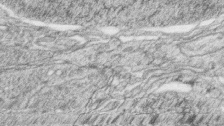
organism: Zebrafish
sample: synaptic ribbons in rod cells and cone cells